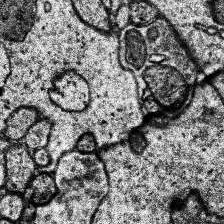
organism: Human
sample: Temporal Lobe